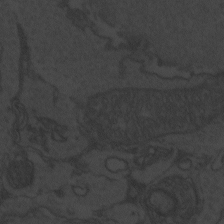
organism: Zebrafish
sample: Macrophage infected with Toxoplasma gondii